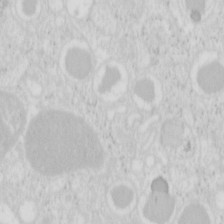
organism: Mouse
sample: Pancreas